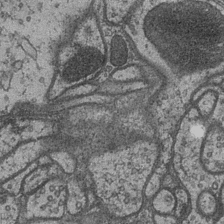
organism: Drosophila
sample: Optic medulla